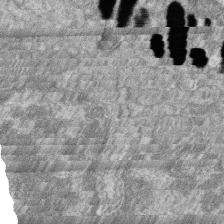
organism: Zebrafish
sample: Cilia; retinal pigment epithelium